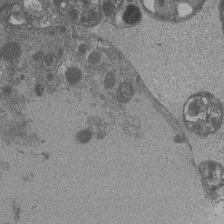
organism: Drosophila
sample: Antenna